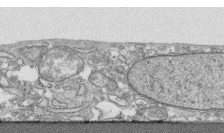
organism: Human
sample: CRL-1474